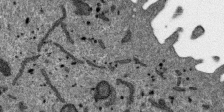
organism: Human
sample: Lung epithelial cells, uninfected (mock) control